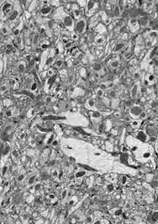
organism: Drosophila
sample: Optic lobe